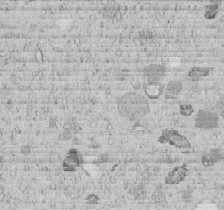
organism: C. elegans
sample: C. elegans embryo early stage